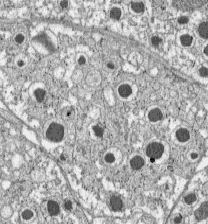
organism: C57BL Mouse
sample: Pancreatic islet